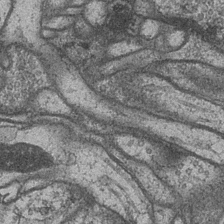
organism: Drosophila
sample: Optic medulla